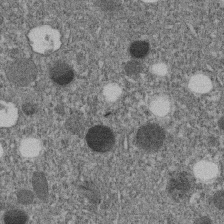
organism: C. elegans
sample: C. elegans embryo early stage